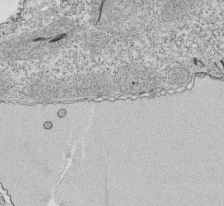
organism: Tetrahymena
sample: Cilia in tetrahymena